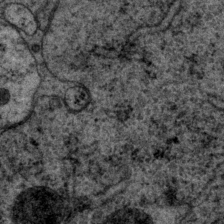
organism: P. pacificus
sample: Pharynx